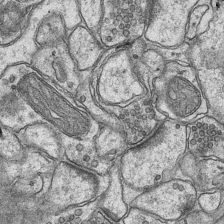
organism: Mouse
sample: CA1 Hippocampus